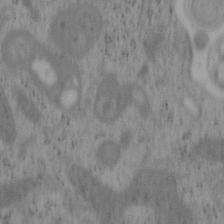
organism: Mouse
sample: OT-I killer T cells with ID8 ovarian cancer cells